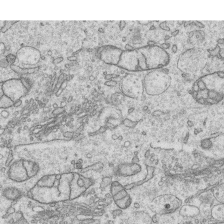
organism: Human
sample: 1205lu cells